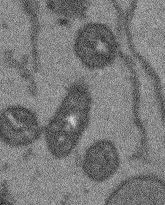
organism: Arabidopsis thaliana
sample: Root tip